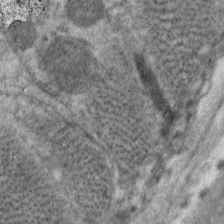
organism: C. elegans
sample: Pharynx